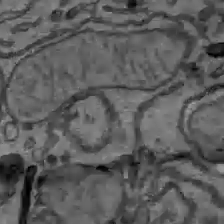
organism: C57BL Mouse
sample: Liver